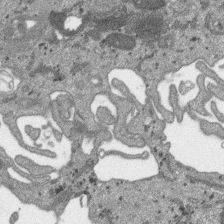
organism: Human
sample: Lung epithelial cells infected with SARS-CoV-2